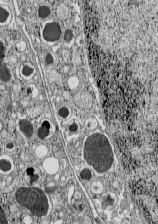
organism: C57BL Mouse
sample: Pancreatic islet